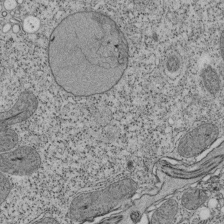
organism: Tetrahymena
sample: Cilia in tetrahymena